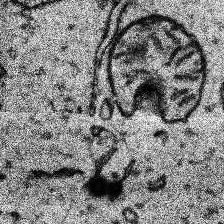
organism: Human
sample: Temporal Lobe